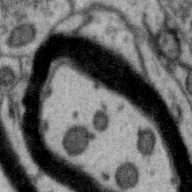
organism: Zebra finch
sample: Brain